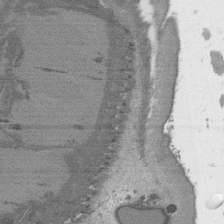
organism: C. elegans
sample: AFD neurons C. elegans